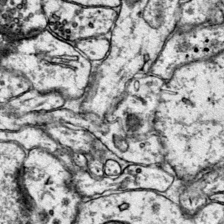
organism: Mouse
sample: Primary visual cortex